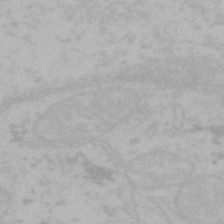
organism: Mouse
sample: Choroid plexus